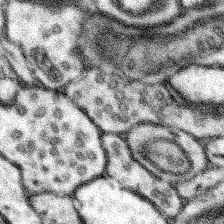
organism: Mouse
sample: Somatosensory cortex neuropil